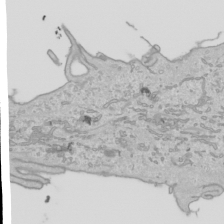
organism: Human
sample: Mitochondria in HCT116 cells